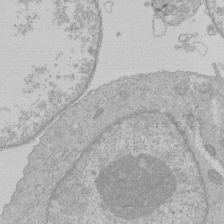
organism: Human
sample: Macrophage cells